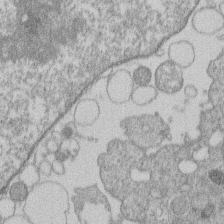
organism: Human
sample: Macrophage cells